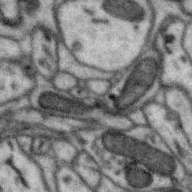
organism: Zebra finch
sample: Brain